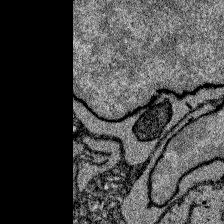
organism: Zebrafish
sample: Larval olfactory bulb